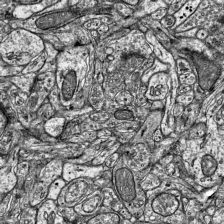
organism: Mouse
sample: Visual Cortex